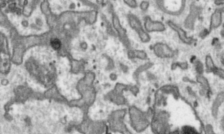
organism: Toxoplasma gondii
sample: Parasites in a vacuole inside a host cell